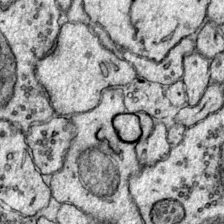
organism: Mouse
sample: Primary visual cortex